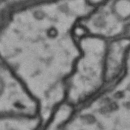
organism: Drosophila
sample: Brain